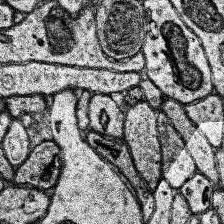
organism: Human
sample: Temporal Lobe